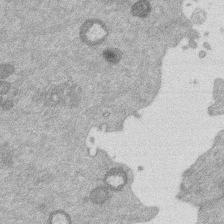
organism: Mouse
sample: Dividing mouse embryo 1 cell stage